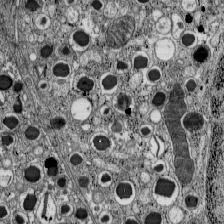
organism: C57BL Mouse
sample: Pancreatic islet